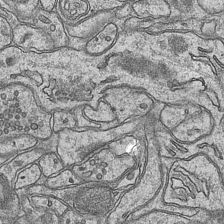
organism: Mouse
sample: CA1 Hippocampus